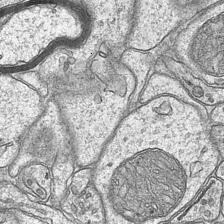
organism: Mouse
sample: CA1 Hippocampus